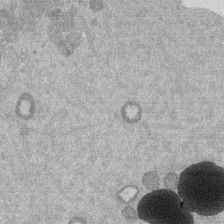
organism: Mouse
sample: Dividing mouse embryo 1 cell stage